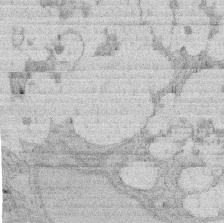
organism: Rat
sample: Salivary granule